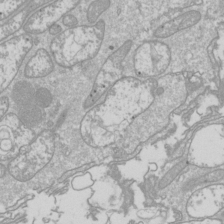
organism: Drosophila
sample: Cell division; meiosis; drosophila spermatocytes